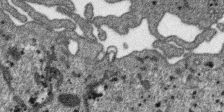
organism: Human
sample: Lung epithelial cells infected with SARS-CoV-2